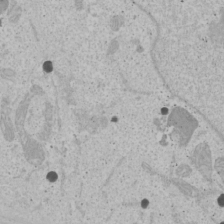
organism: Human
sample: Mitochondria in U2OS cells